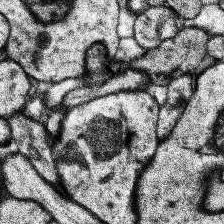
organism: Human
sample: Temporal Lobe